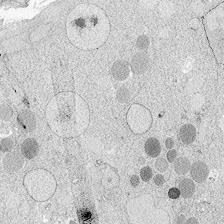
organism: Zebrafish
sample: Whole-Brain